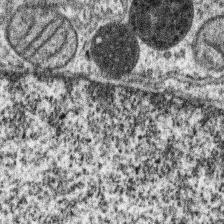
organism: Human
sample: HeLa cells